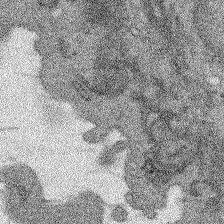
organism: Human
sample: HeLa cells